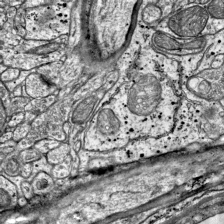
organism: Mouse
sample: Visual Cortex